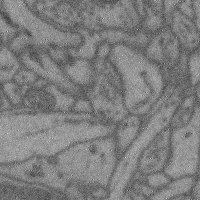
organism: Mouse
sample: Cerebral cortex